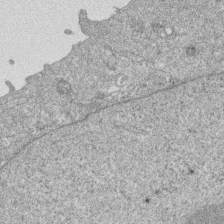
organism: Human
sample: HeLa cell HIV synapse